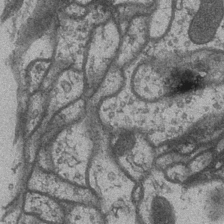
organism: Drosophila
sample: Optic medulla